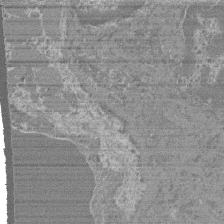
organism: Mouse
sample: Glomerulus